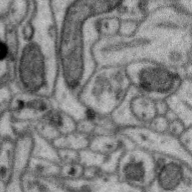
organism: Zebra finch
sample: Brain